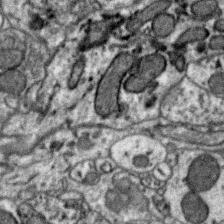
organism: Zebra finch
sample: Brain